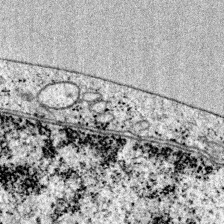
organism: Human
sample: HeLa cells